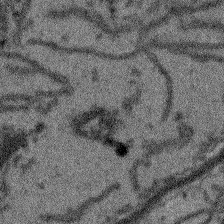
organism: Arabidopsis thaliana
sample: Root tip